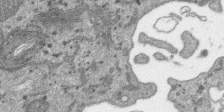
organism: Human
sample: Lung epithelial cells infected with SARS-CoV-2